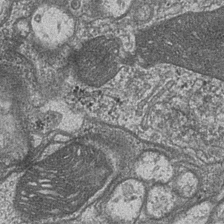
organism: Drosophila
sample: Optic medulla